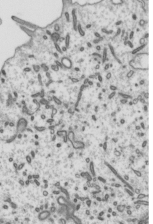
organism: Mouse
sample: Mouse epididymis efferent ductule cilia